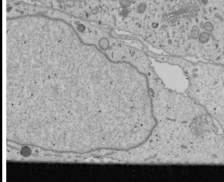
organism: Human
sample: Mitochondria in U2OS cells